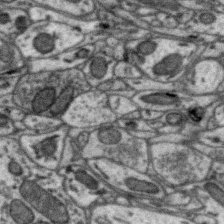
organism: Zebra finch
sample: Brain